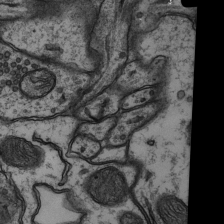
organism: Rat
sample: Hippocampus